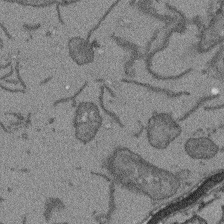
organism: Arabidopsis thaliana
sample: Root tip